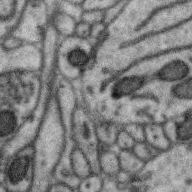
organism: Zebra finch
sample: Brain